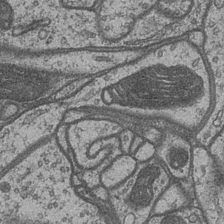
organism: Drosophila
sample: Optic medulla